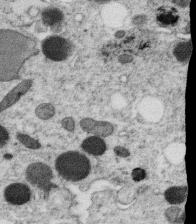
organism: C. elegans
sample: C. elegans oocyte; sperm cells